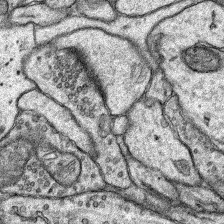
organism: Rat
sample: Hippocampus